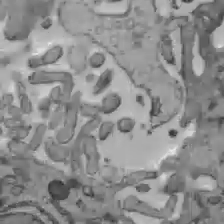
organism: C57BL Mouse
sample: Liver